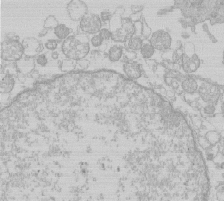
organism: Human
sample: Macrophage cells